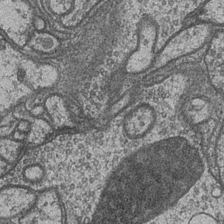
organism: Drosophila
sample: Optic medulla